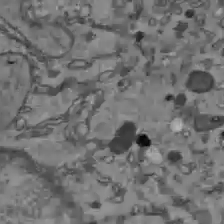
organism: C57BL Mouse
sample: Liver